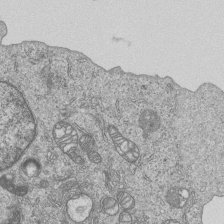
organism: Human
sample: MDA-MB-231 cells